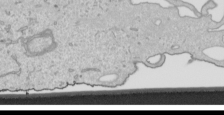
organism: Human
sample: Mitochondria in HCT116 cells